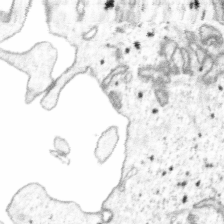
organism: Human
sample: HeLa cells